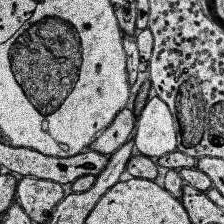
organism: Human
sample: Temporal Lobe